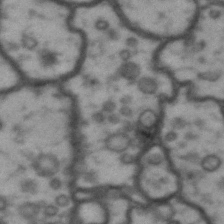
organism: Drosophila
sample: Brain